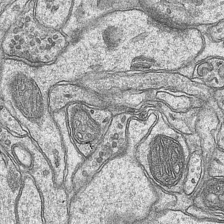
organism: Mouse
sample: CA1 Hippocampus